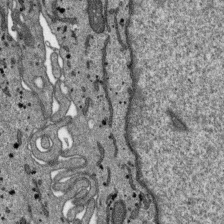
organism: Human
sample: Lung epithelial cells, uninfected (mock) control